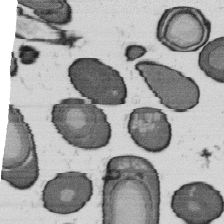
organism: B. subtilis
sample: Bacterial spore